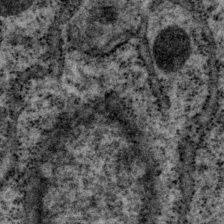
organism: P. pacificus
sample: Pharynx